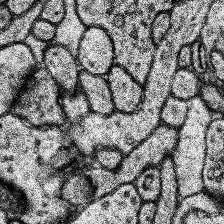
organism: Human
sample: Temporal Lobe